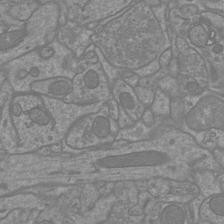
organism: Mouse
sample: Cortical neurons